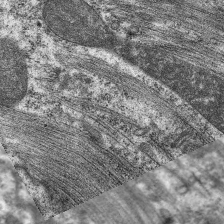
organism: C. elegans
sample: Pharynx